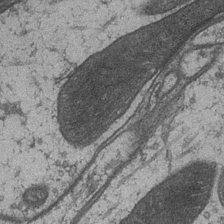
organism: Drosophila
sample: Optic medulla